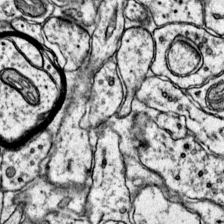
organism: Mouse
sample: Primary visual cortex